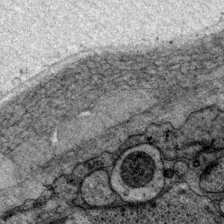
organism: P. pacificus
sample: Pharynx